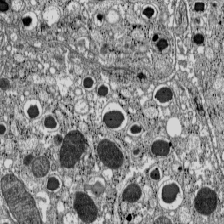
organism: C57BL Mouse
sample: Pancreatic islet